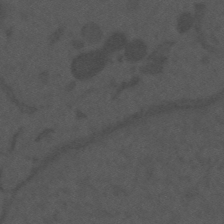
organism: Mouse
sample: Suprachiasmatic nucleus